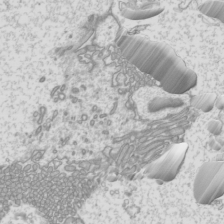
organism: Mouse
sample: Cilia; mouse epididymis